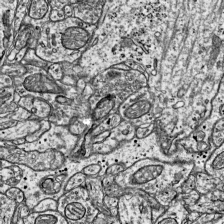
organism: Mouse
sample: Visual Cortex